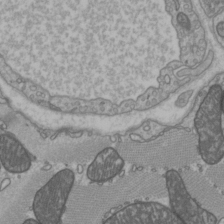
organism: C57BL Mouse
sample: Heart